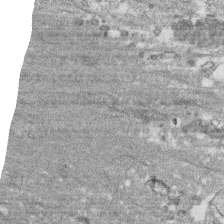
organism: Human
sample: CRL-1474